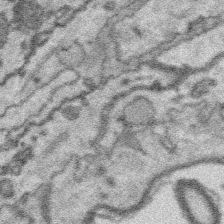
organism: Platynereis dumerilii